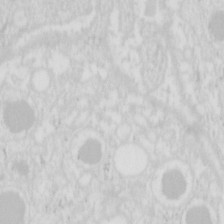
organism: Mouse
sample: Pancreas